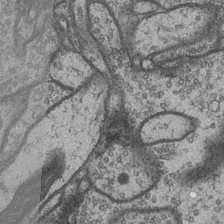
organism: Drosophila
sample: Optic medulla